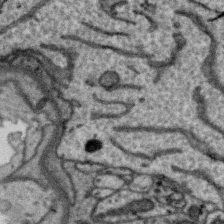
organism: Zebra finch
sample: Brain